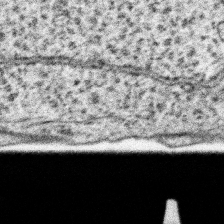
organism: Human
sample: HeLa cells